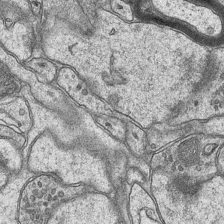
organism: Mouse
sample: CA1 Hippocampus